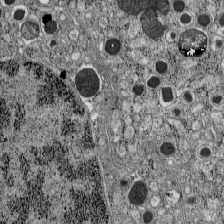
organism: C57BL Mouse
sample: Pancreatic islet